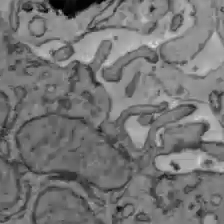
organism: C57BL Mouse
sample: Liver